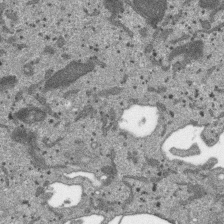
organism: Human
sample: Lung epithelial cells infected with SARS-CoV-2